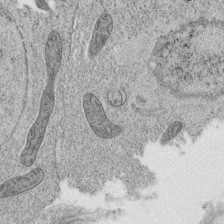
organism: C. elegans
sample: C. elegans oocyte; sperm cells